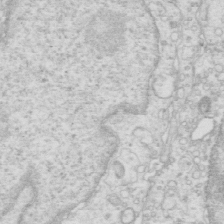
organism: Mouse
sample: Multiciliated cells